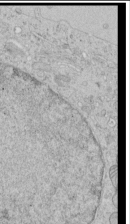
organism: Human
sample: Mitochondria in HCT116 cells